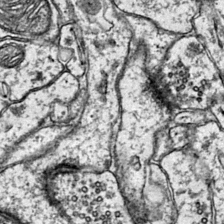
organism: Mouse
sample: Primary visual cortex